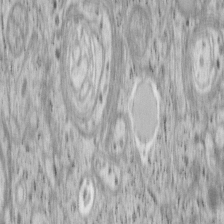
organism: Human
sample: HeLa cells